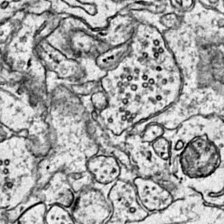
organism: Mouse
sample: Primary visual cortex